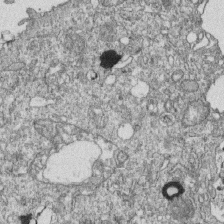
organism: Human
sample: HeLa cell HIV synapse